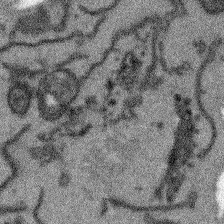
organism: Arabidopsis thaliana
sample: Root tip